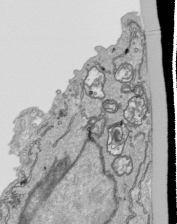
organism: Human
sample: Mitochondria in HCT116 cells